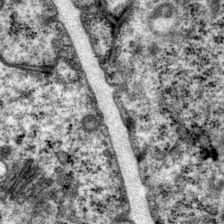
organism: P. pacificus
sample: Pharynx